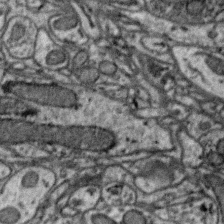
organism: Zebra finch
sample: Brain